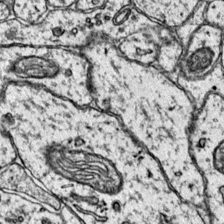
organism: Mouse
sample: Primary visual cortex